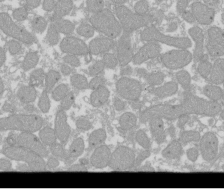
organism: Xenopus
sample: Cilia; centrioles in frog embryo cells